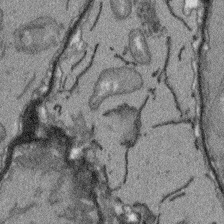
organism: Arabidopsis thaliana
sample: Root tip